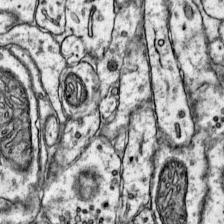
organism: Mouse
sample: Primary visual cortex